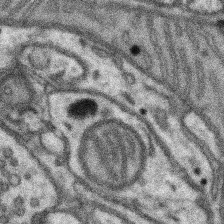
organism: Mouse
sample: Somatosensory cortex neuropil